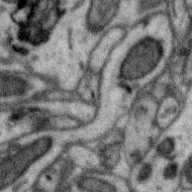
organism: Zebra finch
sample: Brain